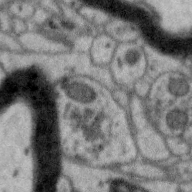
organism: Zebra finch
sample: Brain